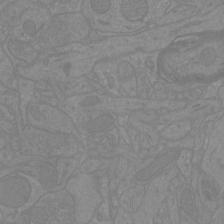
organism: Mouse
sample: Cortical neurons